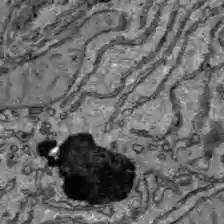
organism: C57BL Mouse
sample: Liver